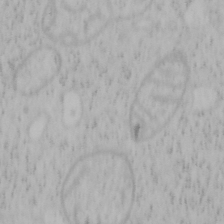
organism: Mouse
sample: OT-I killer T cells with ID8 ovarian cancer cells